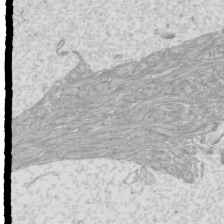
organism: Mouse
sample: Cilia; mouse epididymis